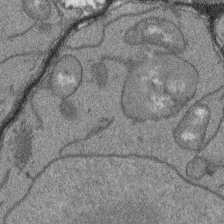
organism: Arabidopsis thaliana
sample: Root tip